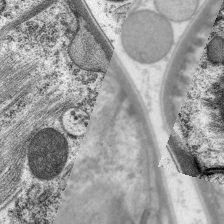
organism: C. elegans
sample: Pharynx